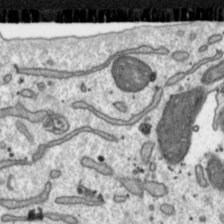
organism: Toxoplasma gondii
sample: Parasites in a vacuole inside a host cell